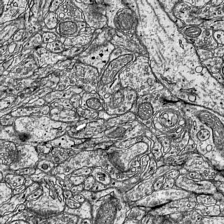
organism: Mouse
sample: Visual Cortex